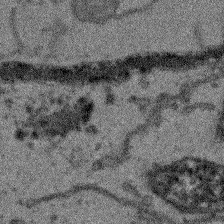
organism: Arabidopsis thaliana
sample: Root tip